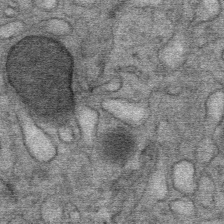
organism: Mouse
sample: Mouse Salivary gland